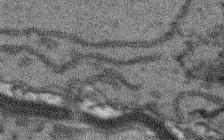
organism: Arabidopsis thaliana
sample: Root tip